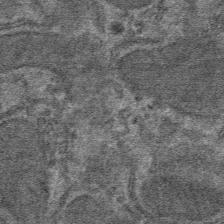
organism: Mouse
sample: Mouse hepatocytes